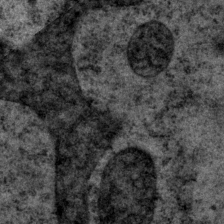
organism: P. pacificus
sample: Pharynx